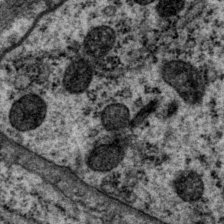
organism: P. pacificus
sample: Pharynx